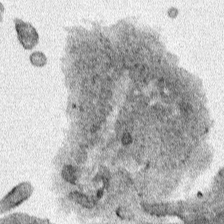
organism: Human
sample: Mitochondria in HCT116 cells